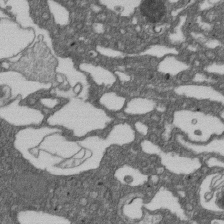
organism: Drosophila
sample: Nephrocyte